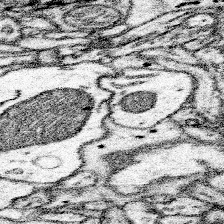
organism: Mouse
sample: Somatosensory cortex neuropil